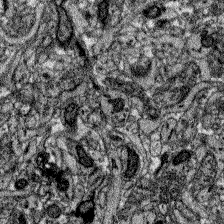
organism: Zebrafish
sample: Larval olfactory bulb